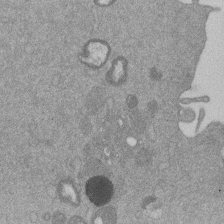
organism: Mouse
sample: Dividing mouse embryo 1 cell stage